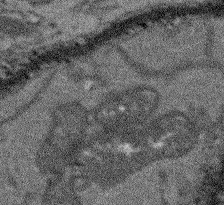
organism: Arabidopsis thaliana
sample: Root tip